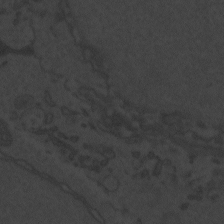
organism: Zebrafish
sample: Macrophage infected with Toxoplasma gondii